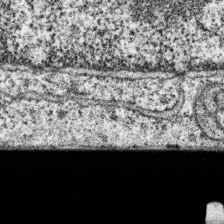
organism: Human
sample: HeLa cells